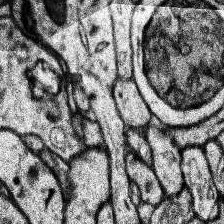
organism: Human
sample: Temporal Lobe